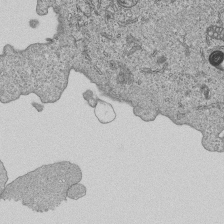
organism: Human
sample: MDA-MB-231 cells